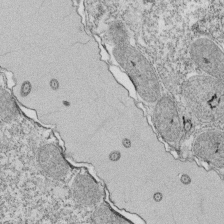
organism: Tetrahymena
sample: Cilia in tetrahymena